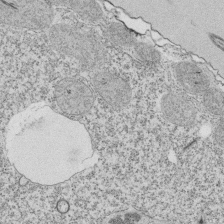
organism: Tetrahymena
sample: Cilia in tetrahymena